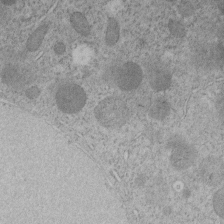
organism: C. elegans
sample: C. elegans embryo early stage